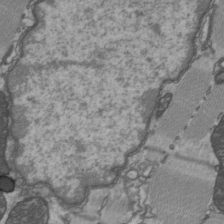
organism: C57BL Mouse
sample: Heart